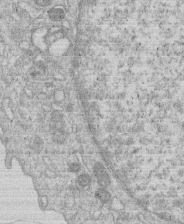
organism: Human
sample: Macrophage cells